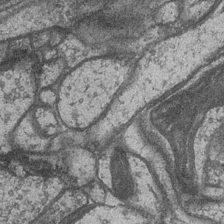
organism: Drosophila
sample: Optic medulla